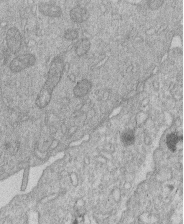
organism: Human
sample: Macrophage cells